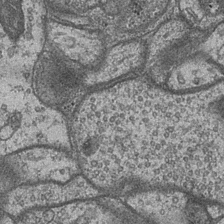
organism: Drosophila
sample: Optic medulla